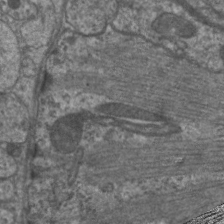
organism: C. elegans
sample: Pharynx